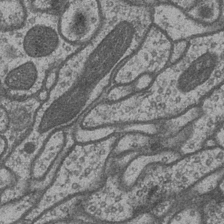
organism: Drosophila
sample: Optic medulla